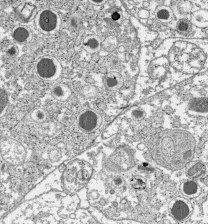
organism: C57BL Mouse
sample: Pancreatic islet